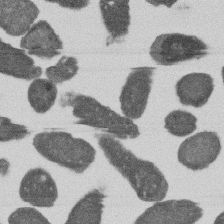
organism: E. coli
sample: Bacterial nucleoid